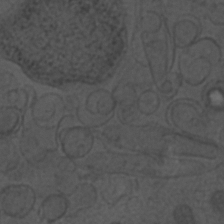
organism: C. elegans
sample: C. elegans embryo